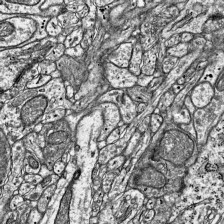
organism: Mouse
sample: Visual Cortex